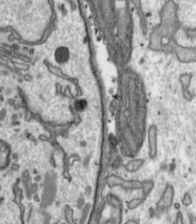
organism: Toxoplasma gondii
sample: Parasites in a vacuole inside a host cell